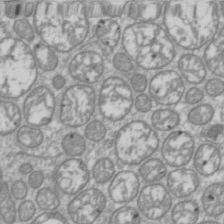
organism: Drosophila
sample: Cell division; meiosis; drosophila spermatocytes